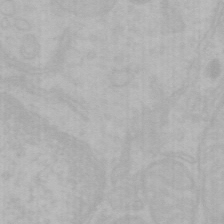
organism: Mouse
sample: Choroid plexus